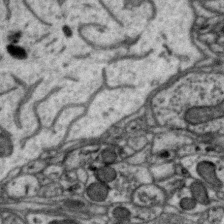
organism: Zebra finch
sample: Brain